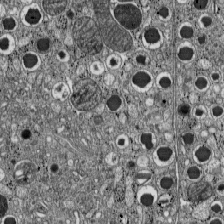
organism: C57BL Mouse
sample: Pancreatic islet